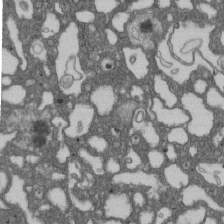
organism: Drosophila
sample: Nephrocyte